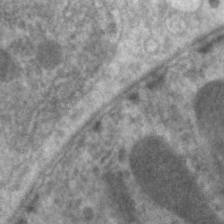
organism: C. elegans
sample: Pharynx